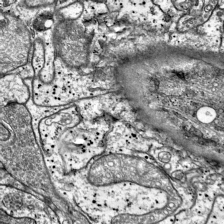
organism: Mouse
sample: Visual Cortex